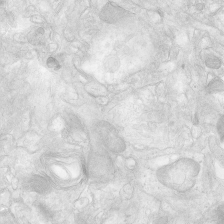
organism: Human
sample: Neocortex